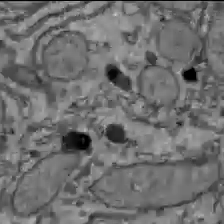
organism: C57BL Mouse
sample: Liver